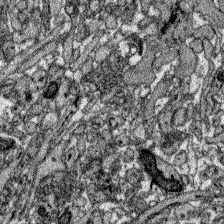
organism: Zebrafish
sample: Larval olfactory bulb